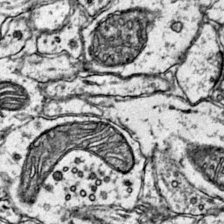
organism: Mouse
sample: Primary visual cortex